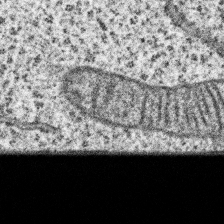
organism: Human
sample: HeLa cells